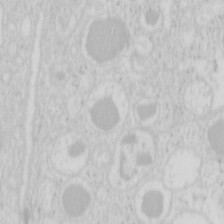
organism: Mouse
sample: Pancreas